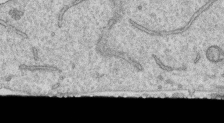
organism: Human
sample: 1205lu cells